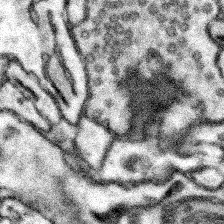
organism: Mouse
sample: Somatosensory cortex neuropil